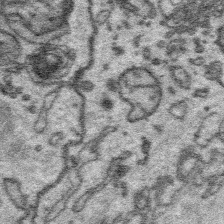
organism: Platynereis dumerilii